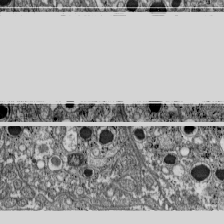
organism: C57BL Mouse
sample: Pancreatic islet